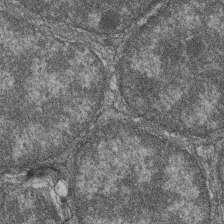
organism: Zebrafish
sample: Cilia; retinal pigment epithelium